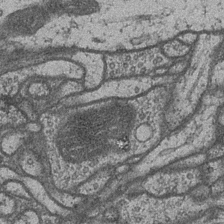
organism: Drosophila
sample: Optic medulla